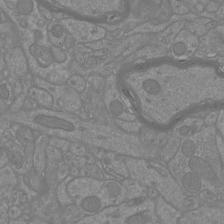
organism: Mouse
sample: Cortical neurons